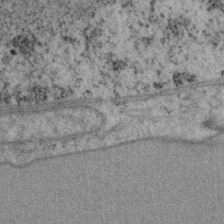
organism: Human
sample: HeLa cells